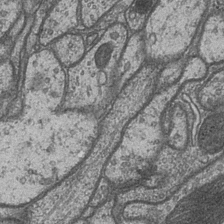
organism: Drosophila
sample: Optic medulla